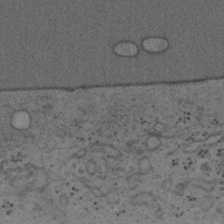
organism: Human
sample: HeLa cells